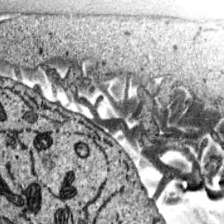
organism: Human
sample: HeLa cells